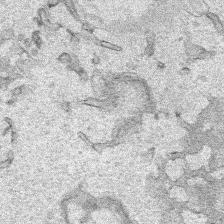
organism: Human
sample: Mitochondria in HCT116 cells